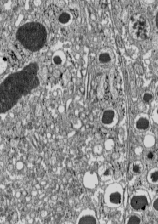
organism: C57BL Mouse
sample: Pancreatic islet